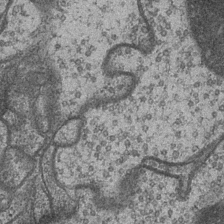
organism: Drosophila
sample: Optic medulla